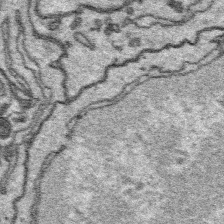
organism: Platynereis dumerilii